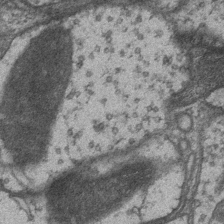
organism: Drosophila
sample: Optic medulla